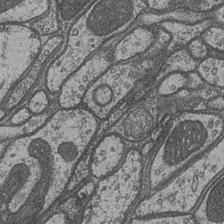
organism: Drosophila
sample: Optic medulla